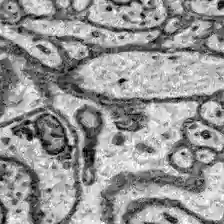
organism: Zebrafish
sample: Brain